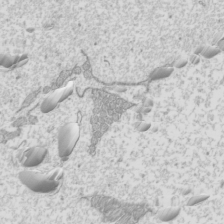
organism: Mouse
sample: Cilia; mouse epididymis